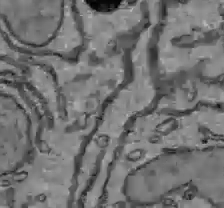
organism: C57BL Mouse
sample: Liver